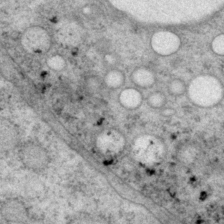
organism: P. pacificus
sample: Pharynx